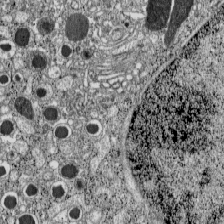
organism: C57BL Mouse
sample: Pancreatic islet